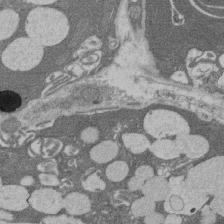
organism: Rat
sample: Salivary granule